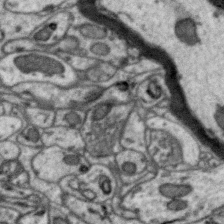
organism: Zebra finch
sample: Brain